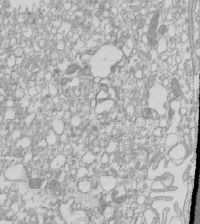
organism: Mouse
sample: Macrophages